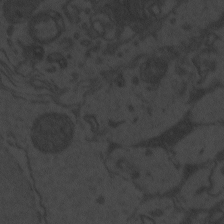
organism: Zebrafish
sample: Macrophage infected with Toxoplasma gondii